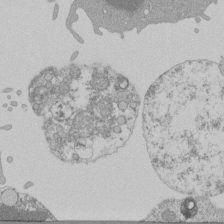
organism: Mouse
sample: Activated Pmel transgenic CD8+ T Cells